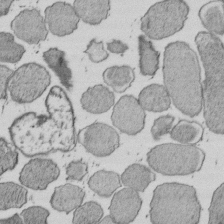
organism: E. coli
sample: Bacterial nucleoid